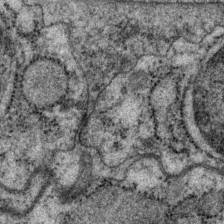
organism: P. pacificus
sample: Pharynx